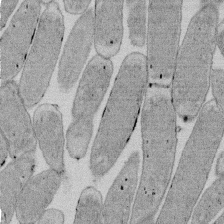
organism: E. coli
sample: Bacterial nucleoid